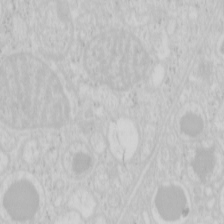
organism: Mouse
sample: Pancreas